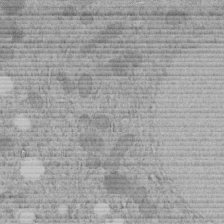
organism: C. elegans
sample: C. elegans embryo early stage